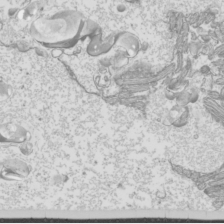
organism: Mouse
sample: Cilia; mouse epididymis